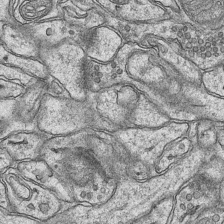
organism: Mouse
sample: CA1 Hippocampus